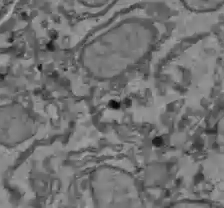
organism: C57BL Mouse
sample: Liver